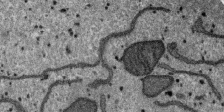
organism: Human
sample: Lung epithelial cells, uninfected (mock) control